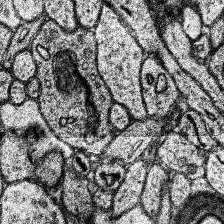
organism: Human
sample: Temporal Lobe